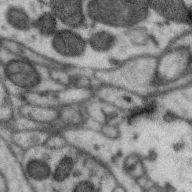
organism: Zebra finch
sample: Brain